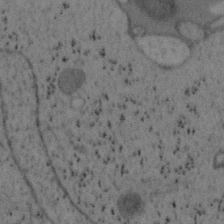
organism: Human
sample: HeLa cells